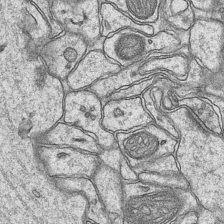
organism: Mouse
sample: CA1 Hippocampus